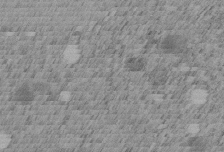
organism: C. elegans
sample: C. elegans embryo early stage